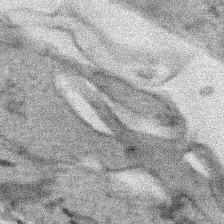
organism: Human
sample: Mitochondria in HCT116 cells